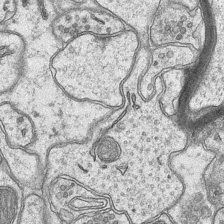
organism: Mouse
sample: CA1 Hippocampus